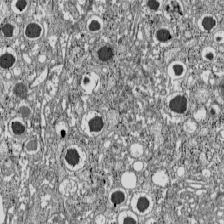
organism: C57BL Mouse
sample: Pancreatic islet